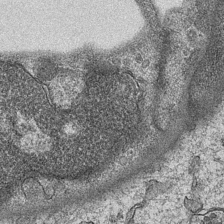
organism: Mouse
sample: CA1 Hippocampus